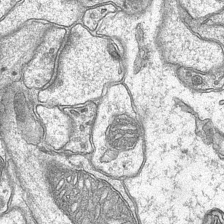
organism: Mouse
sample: CA1 Hippocampus